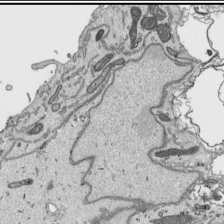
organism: Human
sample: Mitochondria in HCT116 cells